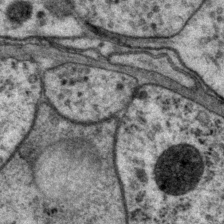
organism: P. pacificus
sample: Pharynx